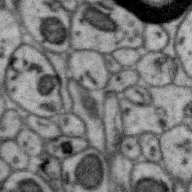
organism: Zebra finch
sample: Brain